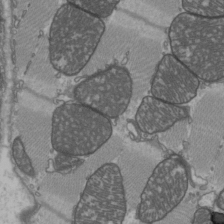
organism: C57BL Mouse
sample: Heart